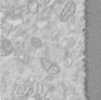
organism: Human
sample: Centriole in RPE cells